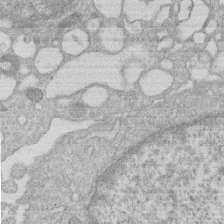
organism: Human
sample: Macrophage cells